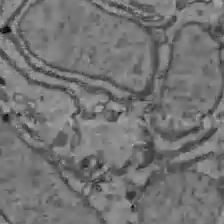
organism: C57BL Mouse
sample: Liver